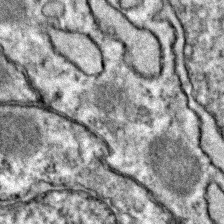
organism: Zebrafish